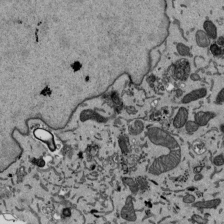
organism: Mouse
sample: ED-1 cell nuclei; centrioles